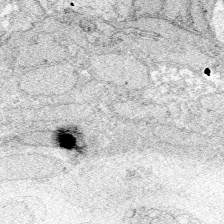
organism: Zebrafish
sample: Whole-Brain